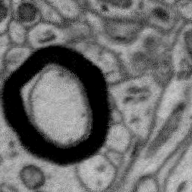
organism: Zebra finch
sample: Brain